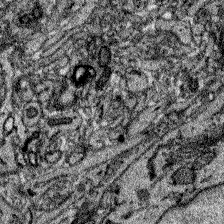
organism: Zebrafish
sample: Larval olfactory bulb